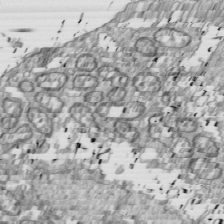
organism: Drosophila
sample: Cell division; meiosis; drosophila spermatocytes